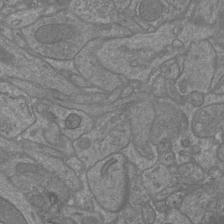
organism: Mouse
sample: Cortical neurons